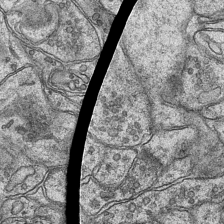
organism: Mouse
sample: CA1 Hippocampus